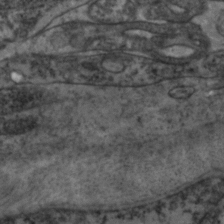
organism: Zebrafish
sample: Zebrafish embryo